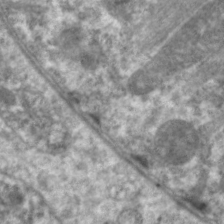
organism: C. elegans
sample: Pharynx